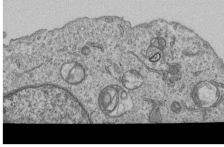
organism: Human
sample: MDA-MB-231 cells